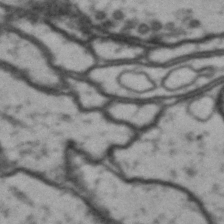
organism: Drosophila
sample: Brain